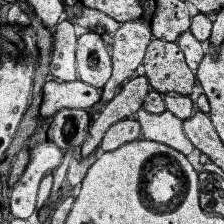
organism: Human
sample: Temporal Lobe